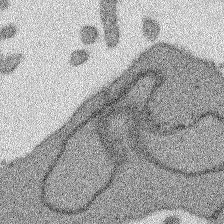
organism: Human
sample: HeLa cells